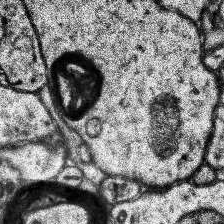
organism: Human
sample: Temporal Lobe